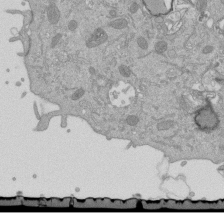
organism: Mouse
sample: ED-1 cell nuclei; centrioles